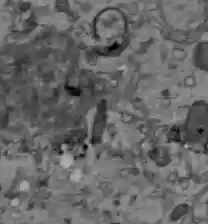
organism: C57BL Mouse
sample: Liver